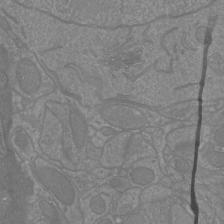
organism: Mouse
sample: Cortical neurons